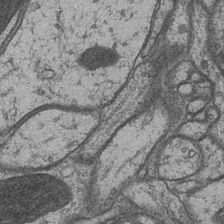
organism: Drosophila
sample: Optic medulla